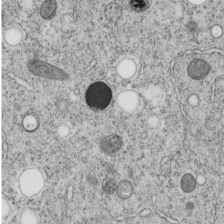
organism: C. elegans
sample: C. elegans embryo early stage